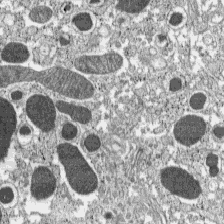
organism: C57BL Mouse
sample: Pancreatic islet